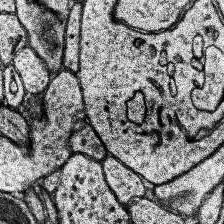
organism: Human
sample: Temporal Lobe